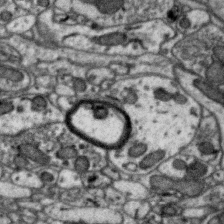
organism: Zebra finch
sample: Brain